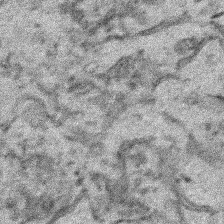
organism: Human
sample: Mitochondria in HCT116 cells